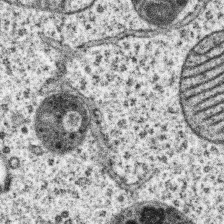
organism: Human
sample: HeLa cells